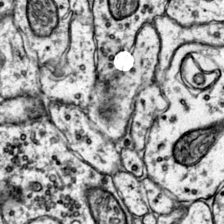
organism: Mouse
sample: Primary visual cortex